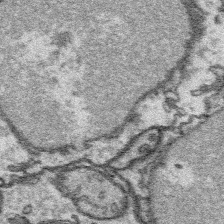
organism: Platynereis dumerilii